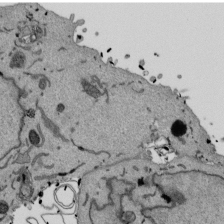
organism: Mouse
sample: ED-1 cell nuclei; centrioles